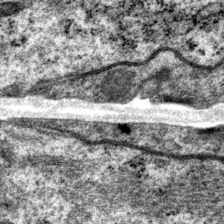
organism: P. pacificus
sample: Pharynx